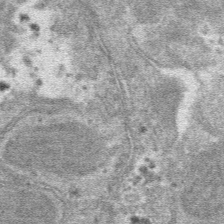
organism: Mouse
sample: Mouse hepatocytes